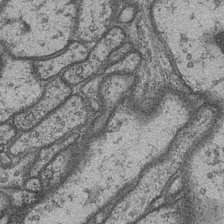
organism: Drosophila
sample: Optic medulla